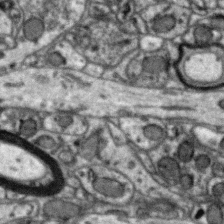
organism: Zebra finch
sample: Brain